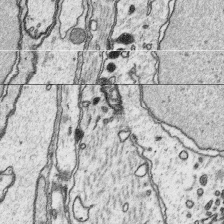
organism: Platynereis dumerilii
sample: Parapodia